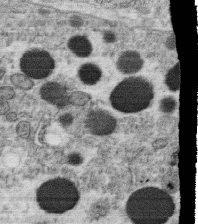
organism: C. elegans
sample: C. elegans oocyte; sperm cells